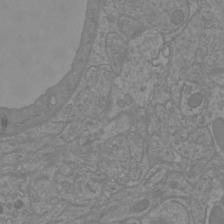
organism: Mouse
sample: Cortical neurons